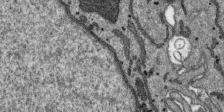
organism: Human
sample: Lung epithelial cells, uninfected (mock) control